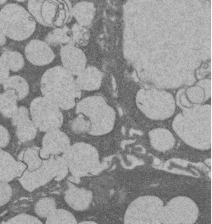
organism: Rat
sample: Salivary granule